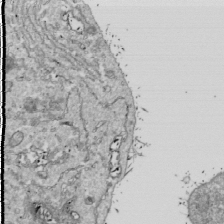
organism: Drosophila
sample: Cell division; meiosis; drosophila spermatocytes